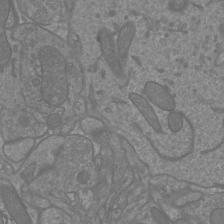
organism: Mouse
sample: Cortical neurons